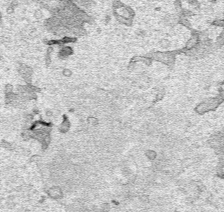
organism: Human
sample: Mitochondria in HCT116 cells